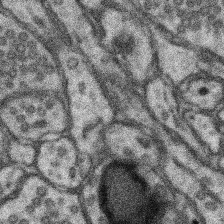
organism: Mouse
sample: Somatosensory cortex neuropil